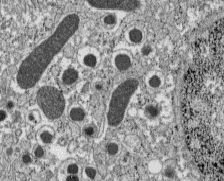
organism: C57BL Mouse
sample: Pancreatic islet